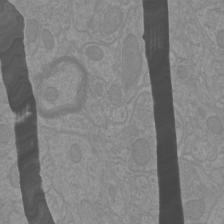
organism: Mouse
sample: Cortical neurons